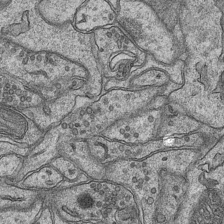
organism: Mouse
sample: CA1 Hippocampus